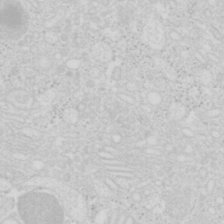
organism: Mouse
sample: Pancreas